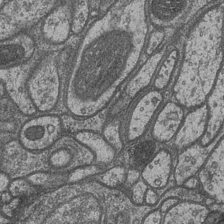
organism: Drosophila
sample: Optic medulla